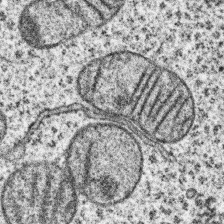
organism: Human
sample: HeLa cells